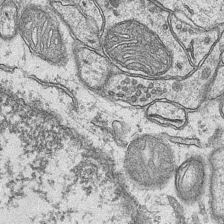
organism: Mouse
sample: CA1 Hippocampus